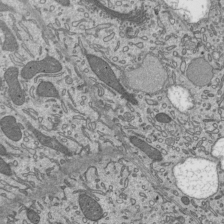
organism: Mouse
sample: Mouse epididymis efferent ductule cilia